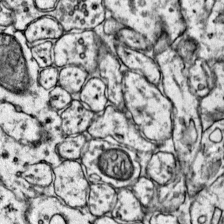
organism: Mouse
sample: Primary visual cortex